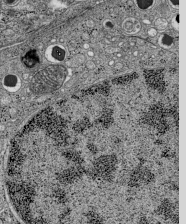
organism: C57BL Mouse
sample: Pancreatic islet